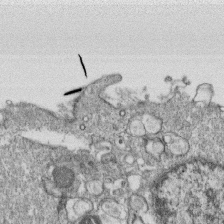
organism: African green monkey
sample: Vero E6 cells infected with SARS-CoV-2